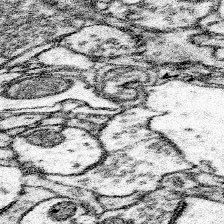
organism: Mouse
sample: Somatosensory cortex neuropil